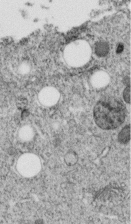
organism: C. elegans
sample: C. elegans embryo early stage